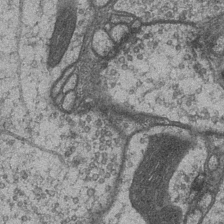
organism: Drosophila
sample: Optic medulla